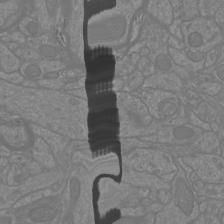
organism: Mouse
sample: Cortical neurons